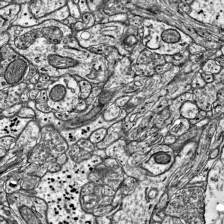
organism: Mouse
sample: Visual Cortex